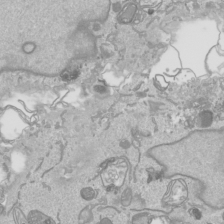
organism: Human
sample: Mitochondria in HCT116 cells